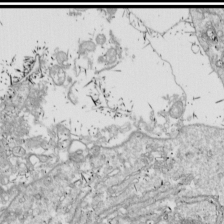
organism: Drosophila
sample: Cell division; meiosis; drosophila spermatocytes